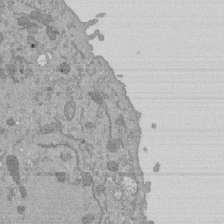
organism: Mouse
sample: ED-1 cell nuclei; centrioles